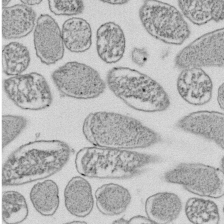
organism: E. coli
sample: Bacterial nucleoid